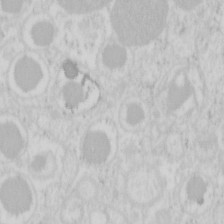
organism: Mouse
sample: Pancreas